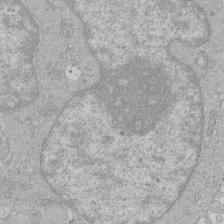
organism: Human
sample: Macrophage cells